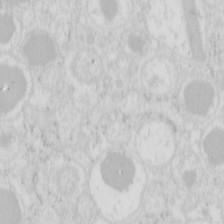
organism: Mouse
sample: Pancreas